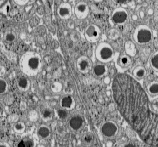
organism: C57BL Mouse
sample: Pancreatic islet